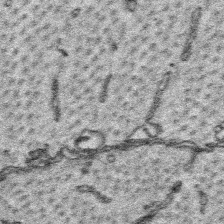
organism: Platynereis dumerilii